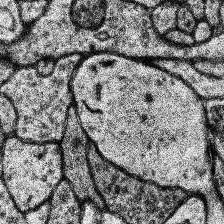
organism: Human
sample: Temporal Lobe